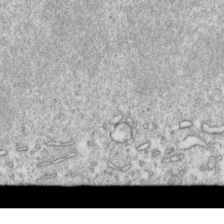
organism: Mouse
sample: Activated OT-1 CD8+ T cells